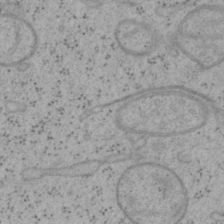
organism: Human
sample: HeLa cells